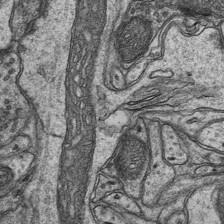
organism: Mouse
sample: CA1 Hippocampus